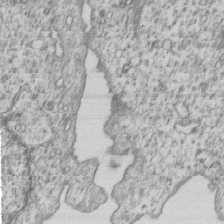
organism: Human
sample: MDA-MB-231 cells